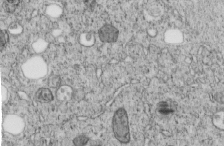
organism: C. elegans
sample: C. elegans embryo early stage